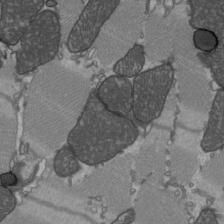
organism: C57BL Mouse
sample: Heart